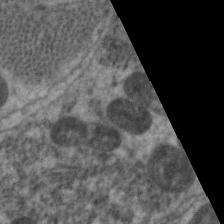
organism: C. elegans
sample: Pharynx